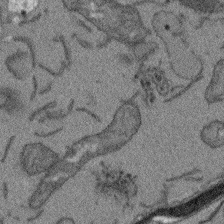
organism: Arabidopsis thaliana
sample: Root tip